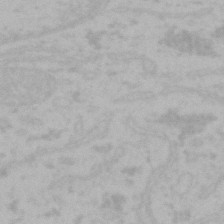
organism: Mouse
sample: Choroid plexus